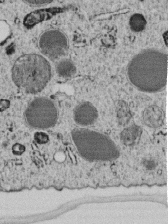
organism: C. elegans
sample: C. elegans embryo early stage